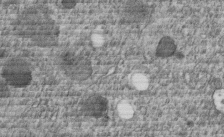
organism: C. elegans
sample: C. elegans embryo early stage